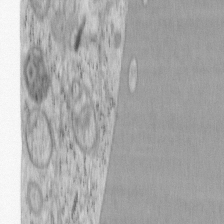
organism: Human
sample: HeLa cells